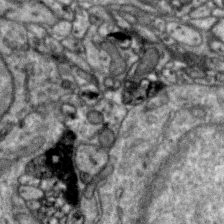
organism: Zebra finch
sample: Brain